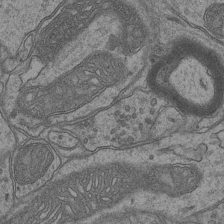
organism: Mouse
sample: CA1 Hippocampus